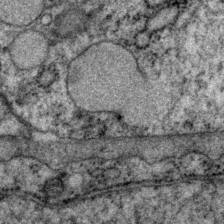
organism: P. pacificus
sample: Pharynx